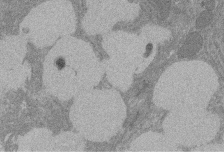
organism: Rat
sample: Salivary granule